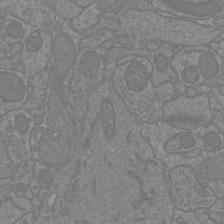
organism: Mouse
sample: Cortical neurons